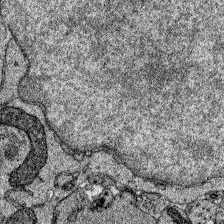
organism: Zebrafish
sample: Larval olfactory bulb